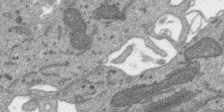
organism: Human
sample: Lung epithelial cells infected with SARS-CoV-2